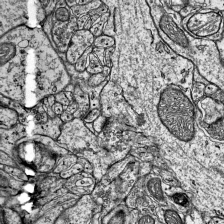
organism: Mouse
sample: Visual Cortex